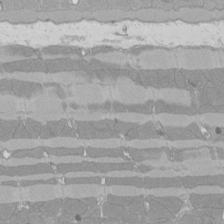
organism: Rat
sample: Left ventricle